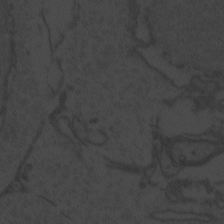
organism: Zebrafish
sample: Macrophage infected with Toxoplasma gondii